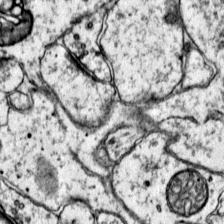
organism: Mouse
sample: Primary visual cortex